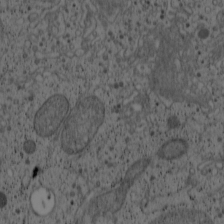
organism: African green monkey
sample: COS-7 cells